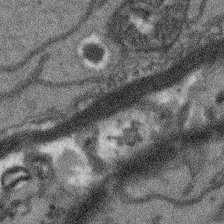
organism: Arabidopsis thaliana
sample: Root tip